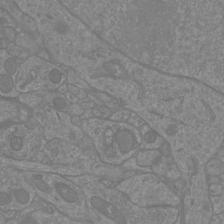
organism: Mouse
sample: Cortical neurons